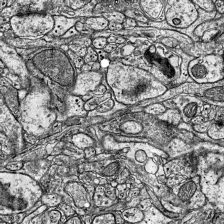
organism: Mouse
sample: Visual Cortex